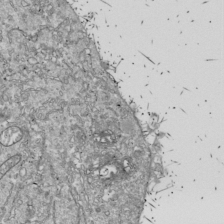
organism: Drosophila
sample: Cell division; meiosis; drosophila spermatocytes